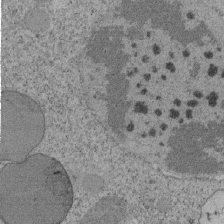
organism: Tetrahymena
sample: Cilia in tetrahymena